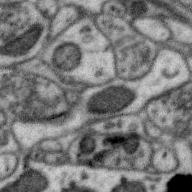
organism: Zebra finch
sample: Brain